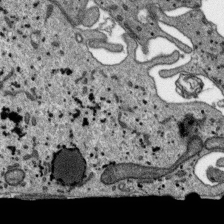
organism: Human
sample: Lung epithelial cells, uninfected (mock) control